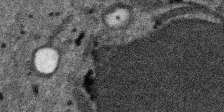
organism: Human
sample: Lung epithelial cells infected with SARS-CoV-2